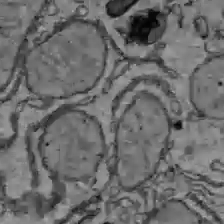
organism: C57BL Mouse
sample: Liver